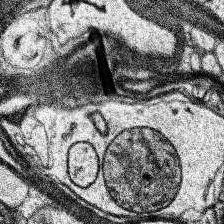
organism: Human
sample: Temporal Lobe